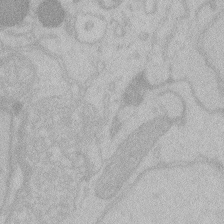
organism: Zebrafish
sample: Macrophage infected with Toxoplasma gondii